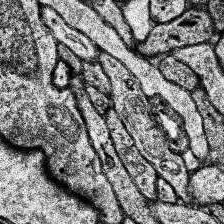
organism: Human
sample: Temporal Lobe